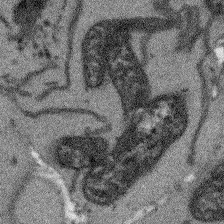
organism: Arabidopsis thaliana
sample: Root tip